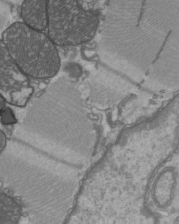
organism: C57BL Mouse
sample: Heart